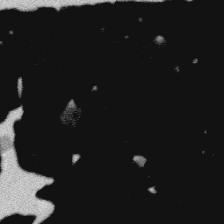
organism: Platynereis dumerilii